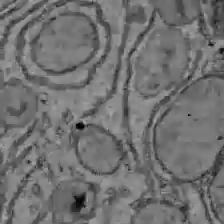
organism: C57BL Mouse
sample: Liver